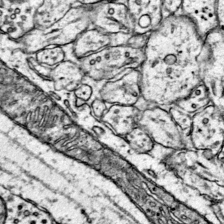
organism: Mouse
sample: Primary visual cortex